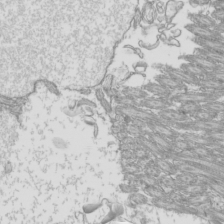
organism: Mouse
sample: Cilia; mouse epididymis